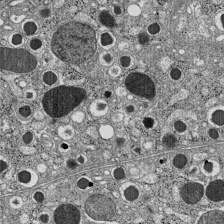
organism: C57BL Mouse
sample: Pancreatic islet